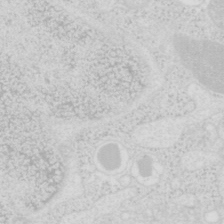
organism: Mouse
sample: Pancreas